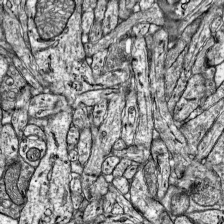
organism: Mouse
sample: Visual Cortex